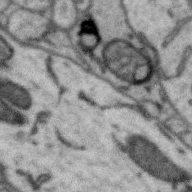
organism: Zebra finch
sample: Brain